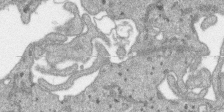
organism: Human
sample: Lung epithelial cells infected with SARS-CoV-2